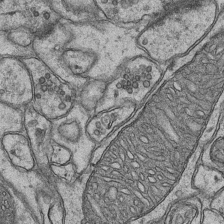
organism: Mouse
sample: CA1 Hippocampus